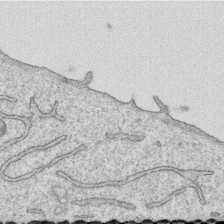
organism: Human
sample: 1205lu cells